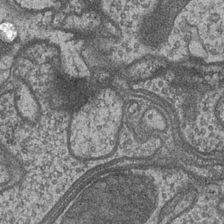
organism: Drosophila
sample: Optic medulla